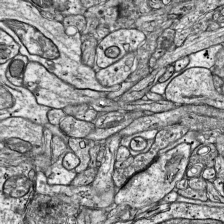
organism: Mouse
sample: Visual Cortex